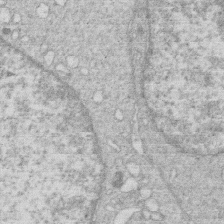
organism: Human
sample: Macrophage cells